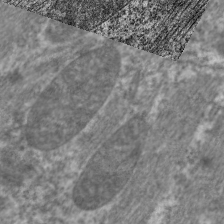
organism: C. elegans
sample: Pharynx